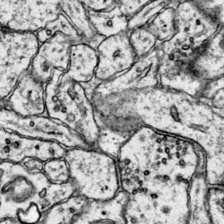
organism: Mouse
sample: Primary visual cortex